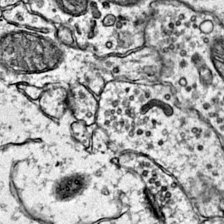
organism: Mouse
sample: Primary visual cortex